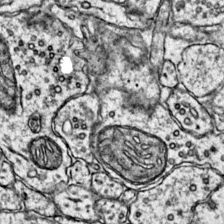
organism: Mouse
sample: Primary visual cortex